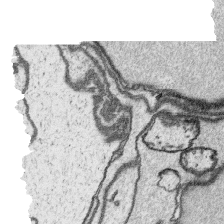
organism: Platynereis dumerilii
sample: Parapodia